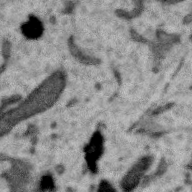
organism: Zebra finch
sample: Brain